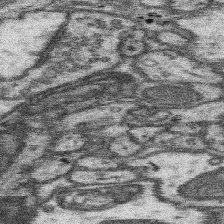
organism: Mouse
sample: Somatosensory cortex neuropil